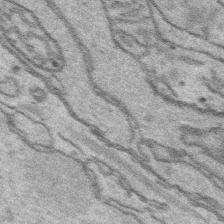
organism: Platynereis dumerilii